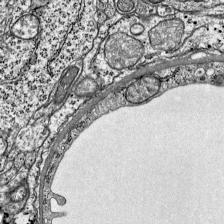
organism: Mouse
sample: Visual Cortex